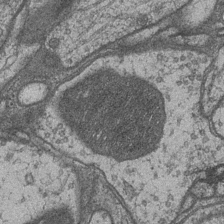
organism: Drosophila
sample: Optic medulla